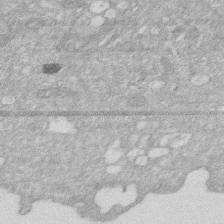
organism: Human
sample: HIV infected U937 cells